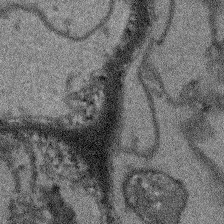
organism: Arabidopsis thaliana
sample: Root tip